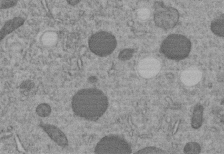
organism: C. elegans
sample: C. elegans embryo early stage